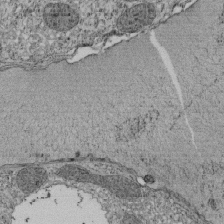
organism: Tetrahymena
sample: Cilia in tetrahymena